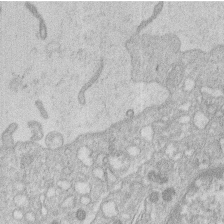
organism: Human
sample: Macrophage cells